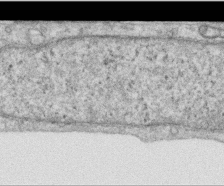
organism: Human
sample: Centriole in RPE cells